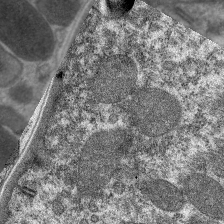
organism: C. elegans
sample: Pharynx